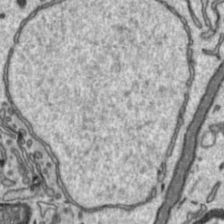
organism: Toxoplasma gondii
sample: Parasites in a vacuole inside a host cell